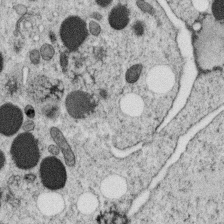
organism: C. elegans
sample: C. elegans oocyte; sperm cells